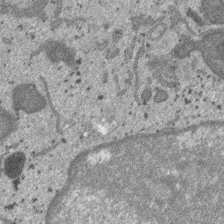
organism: Human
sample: Lung epithelial cells infected with SARS-CoV-2